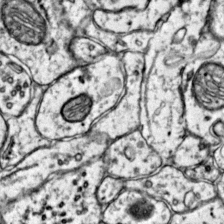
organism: Mouse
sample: Primary visual cortex